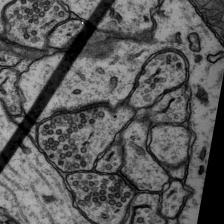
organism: Rat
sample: Hippocampus